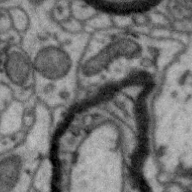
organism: Zebra finch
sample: Brain